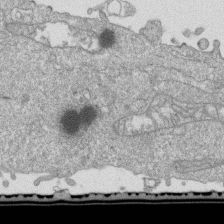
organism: Human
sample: HeLa cell HIV synapse